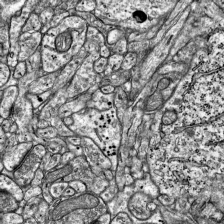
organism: Mouse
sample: Visual Cortex